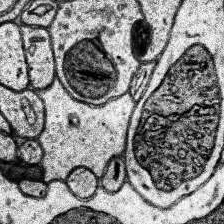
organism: Human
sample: Temporal Lobe